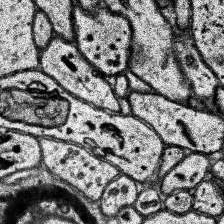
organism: Human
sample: Temporal Lobe